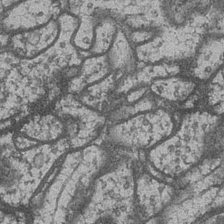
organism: Drosophila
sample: Optic medulla